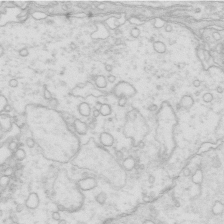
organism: Mouse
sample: Multiciliated cells